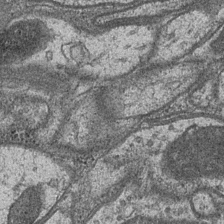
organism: Drosophila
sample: Optic medulla